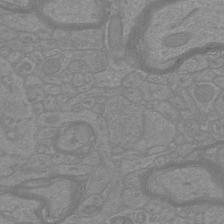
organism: Mouse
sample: Cortical neurons